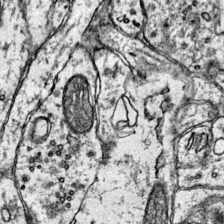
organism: Mouse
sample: Primary visual cortex